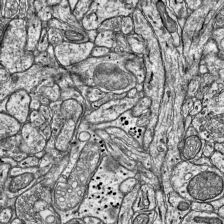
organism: Mouse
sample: Visual Cortex